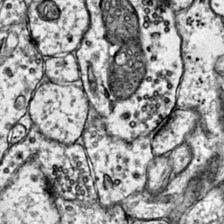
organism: Mouse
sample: Primary visual cortex